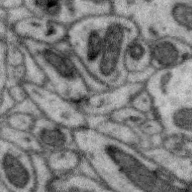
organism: Zebra finch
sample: Brain